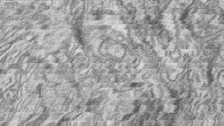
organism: Zebrafish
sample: synaptic ribbons in rod cells and cone cells